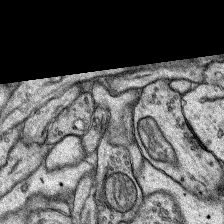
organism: Rat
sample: Hippocampus